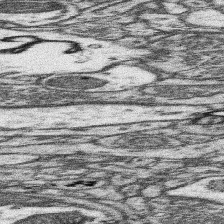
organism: Mouse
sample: Somatosensory cortex neuropil